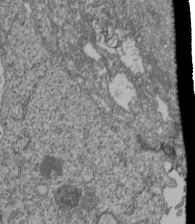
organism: Human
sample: Retinal organoid Rod and Cone cells